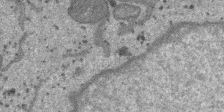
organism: Human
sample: Lung epithelial cells infected with SARS-CoV-2